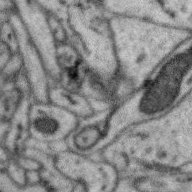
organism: Zebra finch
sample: Brain